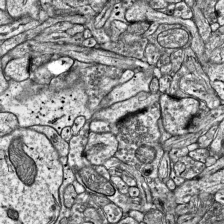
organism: Mouse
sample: Visual Cortex